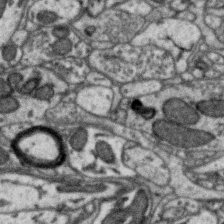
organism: Zebra finch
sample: Brain